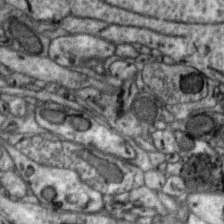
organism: Zebra finch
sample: Brain